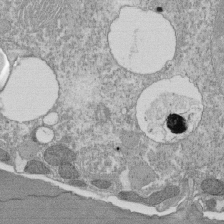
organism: Tetrahymena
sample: Cilia in tetrahymena